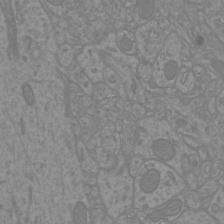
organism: Mouse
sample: Cortical neurons